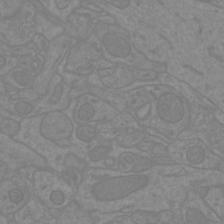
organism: Mouse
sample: Cortical neurons